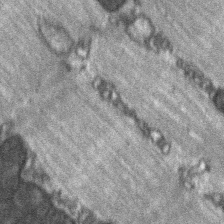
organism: C57BL Mouse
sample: Soleus